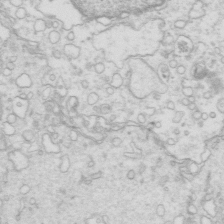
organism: Mouse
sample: Multiciliated cells